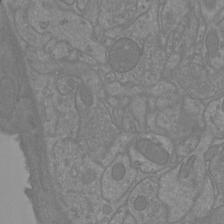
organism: Mouse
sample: Cortical neurons